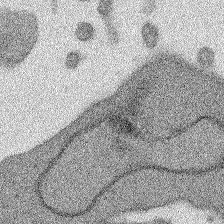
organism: Human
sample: HeLa cells